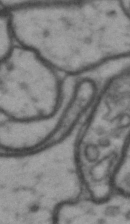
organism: Drosophila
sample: Brain